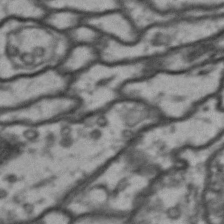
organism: Drosophila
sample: Brain